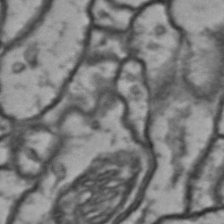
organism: Drosophila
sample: Brain